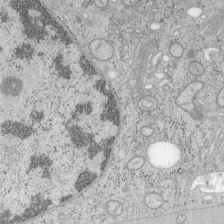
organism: Mouse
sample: OT-I killer T cells with ID8 ovarian cancer cells